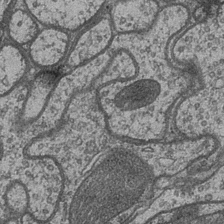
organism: Drosophila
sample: Optic medulla